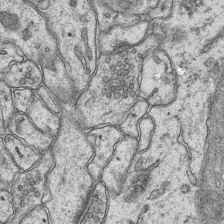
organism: Mouse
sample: CA1 Hippocampus